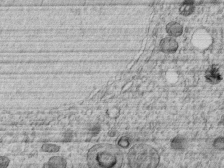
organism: C. elegans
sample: C. elegans embryo early stage